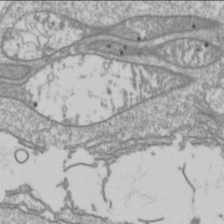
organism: Drosophila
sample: Cell division; meiosis; drosophila spermatocytes